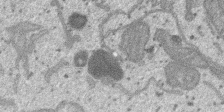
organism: Human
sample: Lung epithelial cells infected with SARS-CoV-2